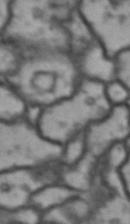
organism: Drosophila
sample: Brain